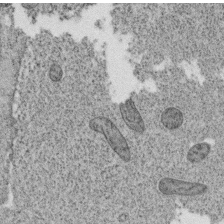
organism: C. elegans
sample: C. elegans oocyte; sperm cells